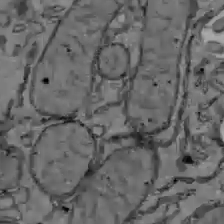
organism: C57BL Mouse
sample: Liver